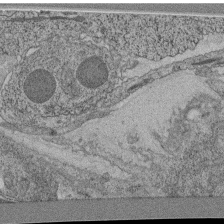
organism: C. elegans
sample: C. elegans pharynx